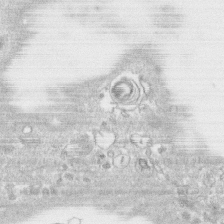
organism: Human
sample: CRL-1474